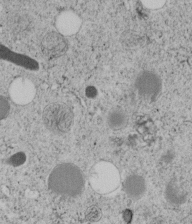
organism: C. elegans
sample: C. elegans embryo early stage